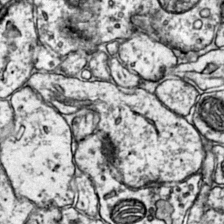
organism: Mouse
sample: Primary visual cortex